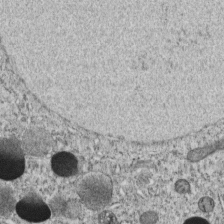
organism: C. elegans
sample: C. elegans embryo early stage